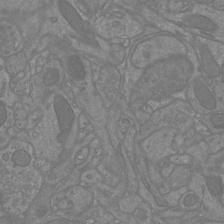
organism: Mouse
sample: Cortical neurons